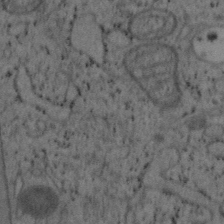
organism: Human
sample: HeLa cells